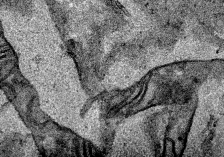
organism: Human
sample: Mitochondria in HCT116 cells